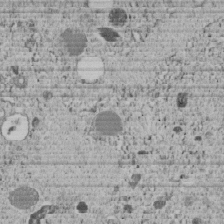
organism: C. elegans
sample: C. elegans embryo early stage